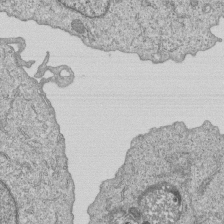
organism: Human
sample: MDA-MB-231 cells